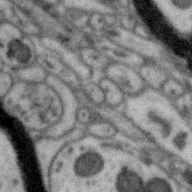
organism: Zebra finch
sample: Brain